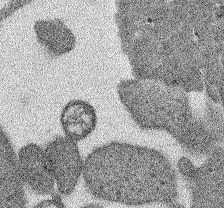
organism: Human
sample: HeLa cells